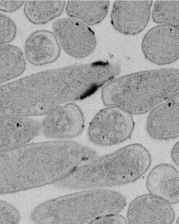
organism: E. coli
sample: Bacterial nucleoid